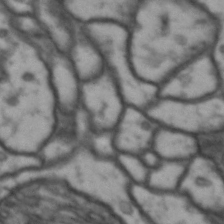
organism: Drosophila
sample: Brain